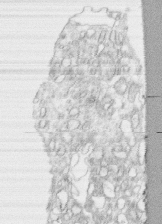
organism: Human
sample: CRL-1474